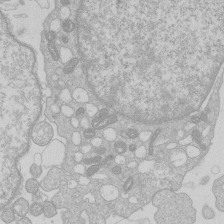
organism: Human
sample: Macrophage cells